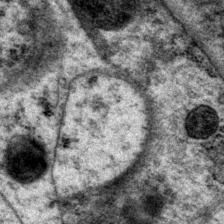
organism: P. pacificus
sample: Pharynx